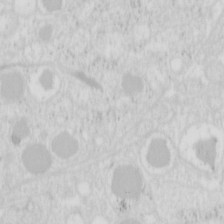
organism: Mouse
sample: Pancreas